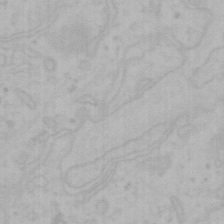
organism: Mouse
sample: Choroid plexus